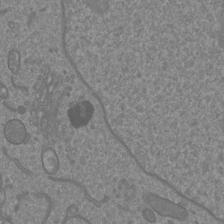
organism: Mouse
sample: Cortical neurons